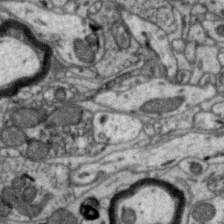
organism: Zebra finch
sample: Brain